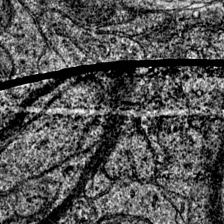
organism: Mouse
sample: Primary visual cortex